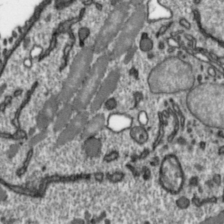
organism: Toxoplasma gondii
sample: Parasites in a vacuole inside a host cell